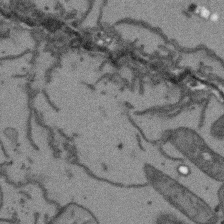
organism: Arabidopsis thaliana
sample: Root tip